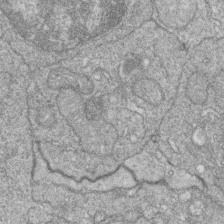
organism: Zebrafish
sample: Cilia; retinal pigment epithelium